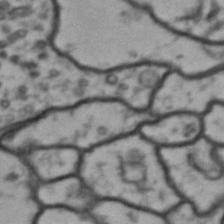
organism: Drosophila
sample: Brain